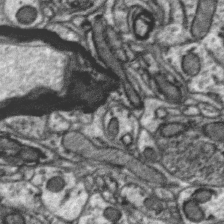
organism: Zebra finch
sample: Brain